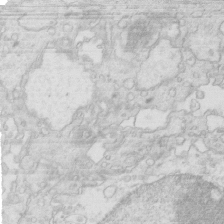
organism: Mouse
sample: Multiciliated cells